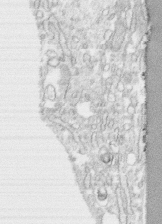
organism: Human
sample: CRL-1474